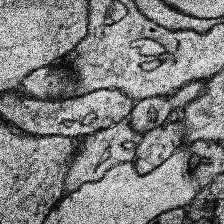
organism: Human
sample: Temporal Lobe